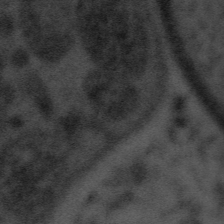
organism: Tuwongella immobilis